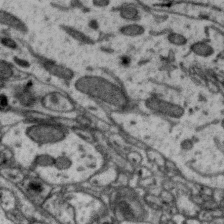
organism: Zebra finch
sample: Brain